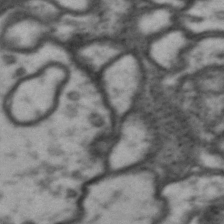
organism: Drosophila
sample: Brain